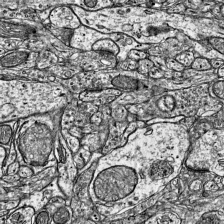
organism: Mouse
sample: Visual Cortex